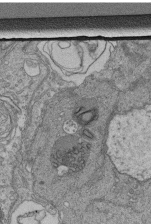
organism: Human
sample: Retinal organoid Rod and Cone cells